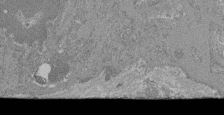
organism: Mouse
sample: Glomerulus